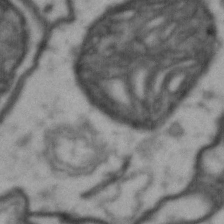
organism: Drosophila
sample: Brain